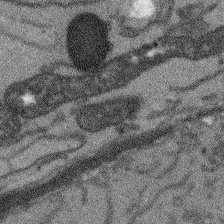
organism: Arabidopsis thaliana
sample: Root tip